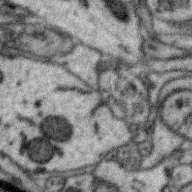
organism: Zebra finch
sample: Brain